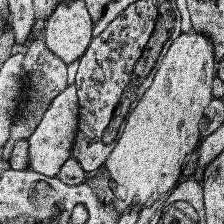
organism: Human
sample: Temporal Lobe